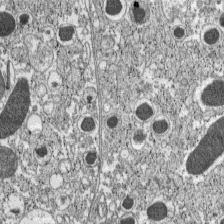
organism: C57BL Mouse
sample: Pancreatic islet